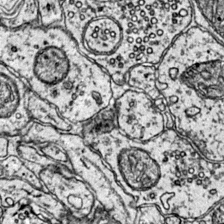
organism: Mouse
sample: Primary visual cortex